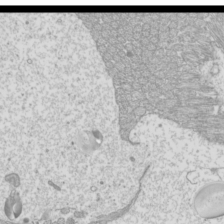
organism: Mouse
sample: Cilia; mouse epididymis